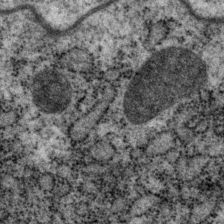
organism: P. pacificus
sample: Pharynx